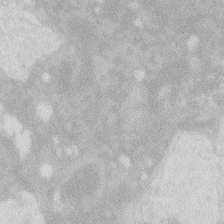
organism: Zebrafish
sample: Macrophage